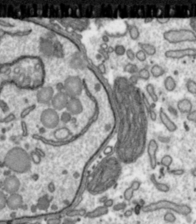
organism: Toxoplasma gondii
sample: Parasites in a vacuole inside a host cell